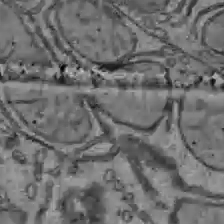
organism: C57BL Mouse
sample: Liver